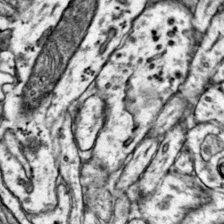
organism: Mouse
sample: Primary visual cortex